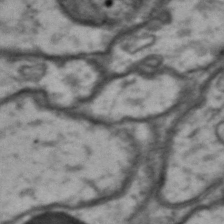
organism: Drosophila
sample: Brain